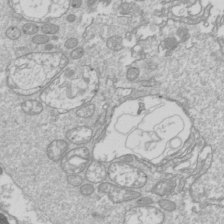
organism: Drosophila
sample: Cell division; meiosis; drosophila spermatocytes